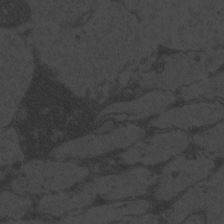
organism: Zebrafish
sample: Macrophage infected with Toxoplasma gondii